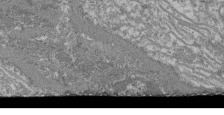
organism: Mouse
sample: Glomerulus